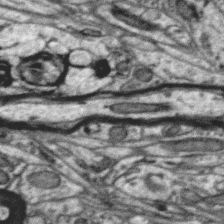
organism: Zebra finch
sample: Brain